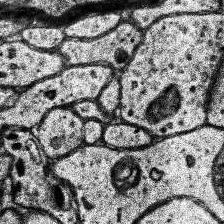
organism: Human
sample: Temporal Lobe